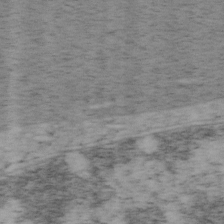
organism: Mouse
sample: OT-I killer T cells with ID8 ovarian cancer cells